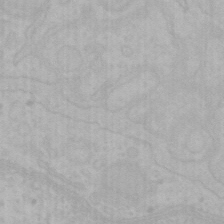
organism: Mouse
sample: Choroid plexus